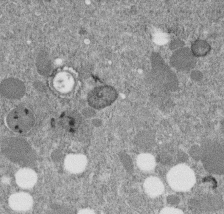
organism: C. elegans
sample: C. elegans embryo early stage